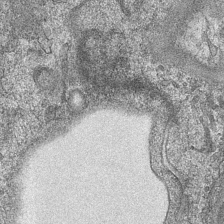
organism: Mouse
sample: CA1 Hippocampus